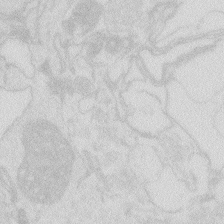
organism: Zebrafish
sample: Macrophage